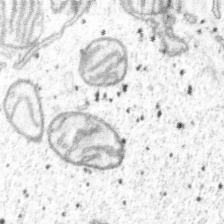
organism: Human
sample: HeLa cells